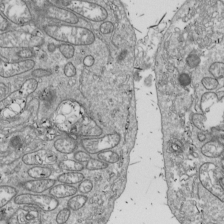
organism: Drosophila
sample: Cell division; meiosis; drosophila spermatocytes